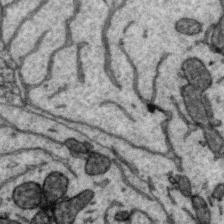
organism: Zebra finch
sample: Brain